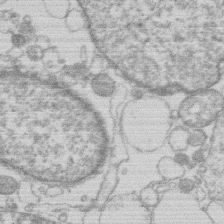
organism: Human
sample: Macrophage cells